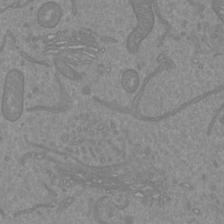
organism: Mouse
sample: Cortical neurons